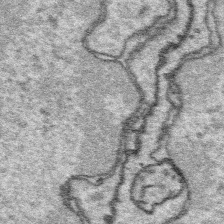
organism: Platynereis dumerilii